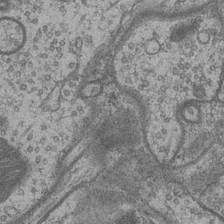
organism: Drosophila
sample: Optic medulla